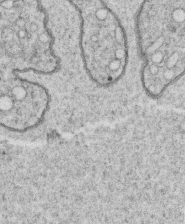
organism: C. elegans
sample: C. elegans oocyte; sperm cells